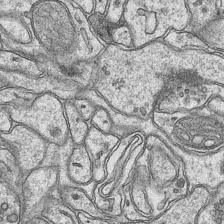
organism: Mouse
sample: CA1 Hippocampus